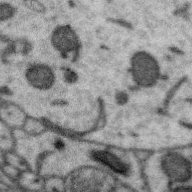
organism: Zebra finch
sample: Brain